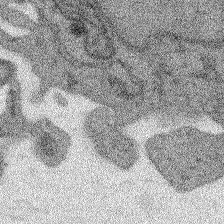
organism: Human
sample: HeLa cells